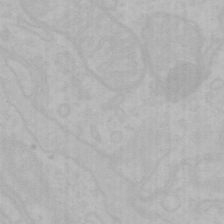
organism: Mouse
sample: Choroid plexus